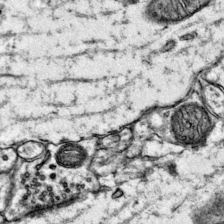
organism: Mouse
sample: Primary visual cortex